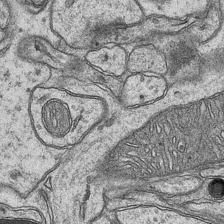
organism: Mouse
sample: CA1 Hippocampus